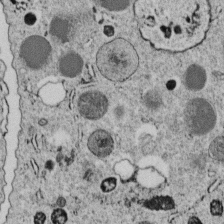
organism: C. elegans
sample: C. elegans embryo early stage